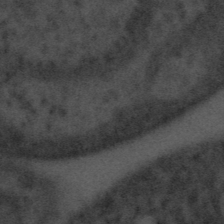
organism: Tuwongella immobilis